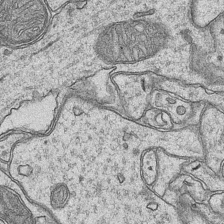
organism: Mouse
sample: CA1 Hippocampus